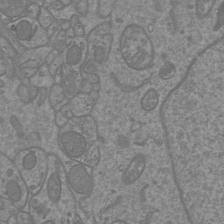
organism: Mouse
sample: Cortical neurons